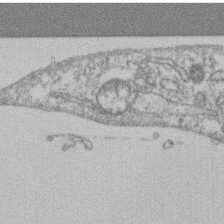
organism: Mouse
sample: T cell stromal cell synapse